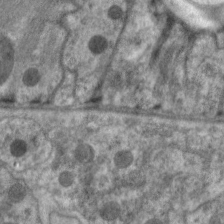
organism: C. elegans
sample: Pharynx